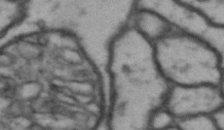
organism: Drosophila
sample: Brain